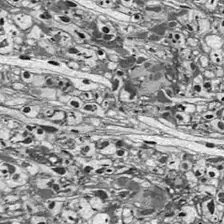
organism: Drosophila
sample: Optic lobe